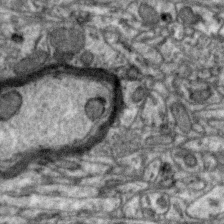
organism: Zebra finch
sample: Brain